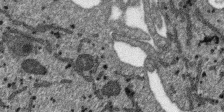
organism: Human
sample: Lung epithelial cells infected with SARS-CoV-2